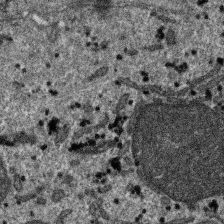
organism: Human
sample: Lung epithelial cells infected with SARS-CoV-2